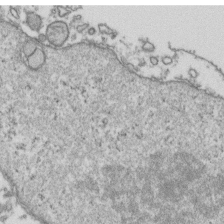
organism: Human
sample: Activated Jurkat CD4+ T cells